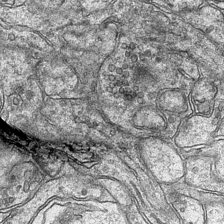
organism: Mouse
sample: CA1 Hippocampus